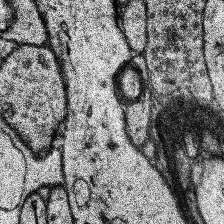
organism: Human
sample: Temporal Lobe